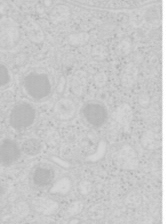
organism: Mouse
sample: Pancreas